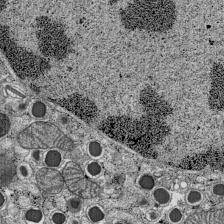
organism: C57BL Mouse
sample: Pancreatic islet